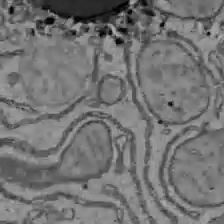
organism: C57BL Mouse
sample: Liver